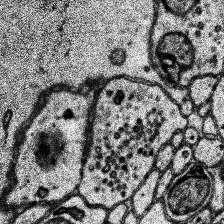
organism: Human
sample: Temporal Lobe